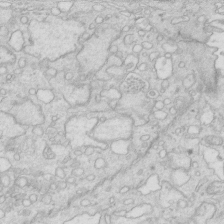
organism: Mouse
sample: Multiciliated cells